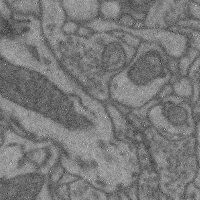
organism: Mouse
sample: Cerebral cortex